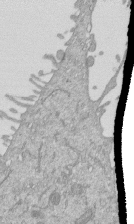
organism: Mouse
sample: ED-1 cell nuclei; centrioles